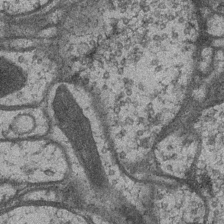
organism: Drosophila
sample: Optic medulla